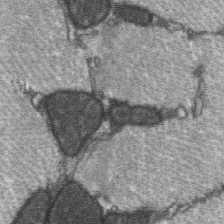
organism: C57BL Mouse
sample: Soleus